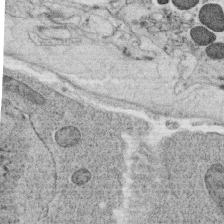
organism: C. elegans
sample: C. elegans oocyte; sperm cells